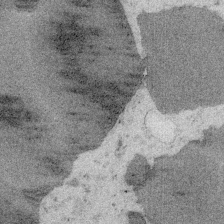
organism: Embia sp.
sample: Silk gland